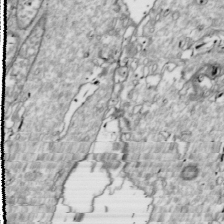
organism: Drosophila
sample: Cell division; meiosis; drosophila spermatocytes